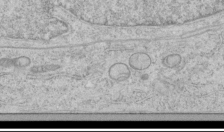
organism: Human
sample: Mitochondria in HCT116 cells